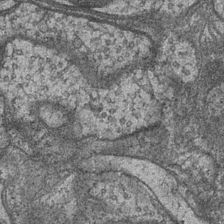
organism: Drosophila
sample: Optic medulla